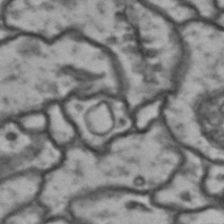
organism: Drosophila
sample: Brain